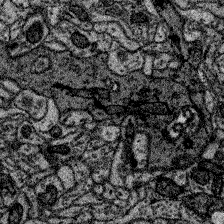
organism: Zebrafish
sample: Larval olfactory bulb